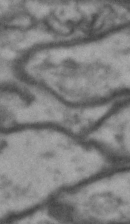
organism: Drosophila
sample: Brain